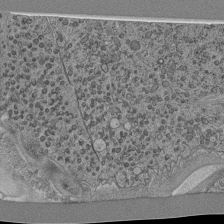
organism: C. elegans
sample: C. elegans pharynx